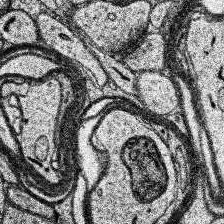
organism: Human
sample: Temporal Lobe